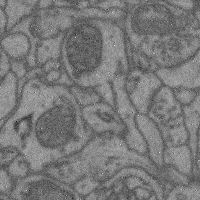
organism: Mouse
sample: Cerebral cortex